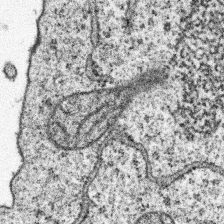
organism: Human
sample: HeLa cells